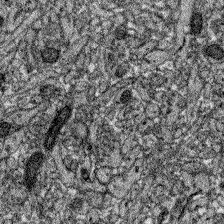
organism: Zebrafish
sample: Larval olfactory bulb